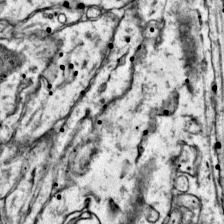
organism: Mouse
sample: Primary visual cortex